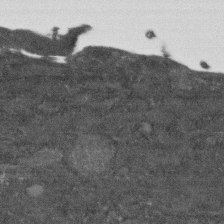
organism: Human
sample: Fibroblast cells